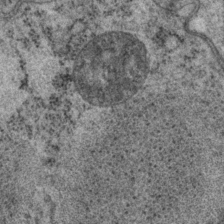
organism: P. pacificus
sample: Pharynx